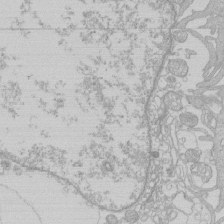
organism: Human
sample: Macrophage cells